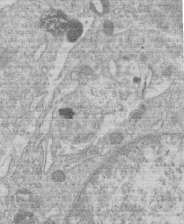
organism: Human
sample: Macrophage cells